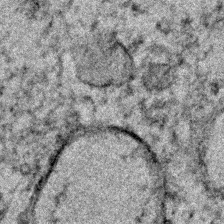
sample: Trachea